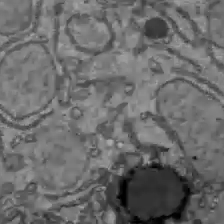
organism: C57BL Mouse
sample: Liver